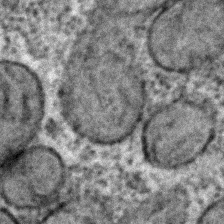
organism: C. elegans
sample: C. elegans embryo